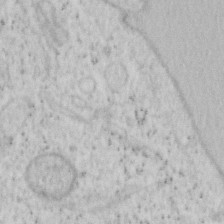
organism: Human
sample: HeLa cells